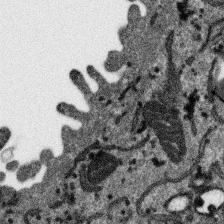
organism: Human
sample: Lung epithelial cells infected with SARS-CoV-2